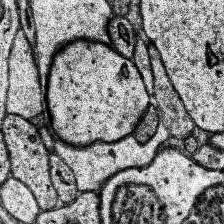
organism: Human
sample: Temporal Lobe